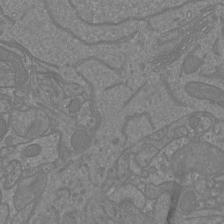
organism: Mouse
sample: Cortical neurons